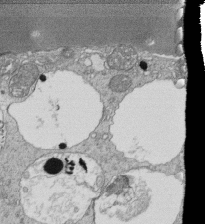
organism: Tetrahymena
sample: Cilia in tetrahymena